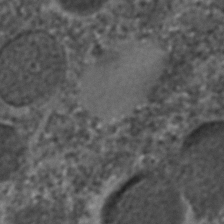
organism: C. elegans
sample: C. elegans embryo